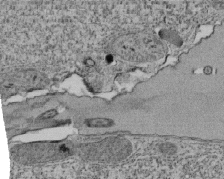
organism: Tetrahymena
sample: Cilia in tetrahymena